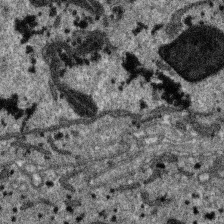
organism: Human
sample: Lung epithelial cells infected with SARS-CoV-2